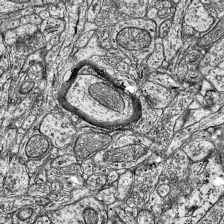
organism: Mouse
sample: Visual Cortex